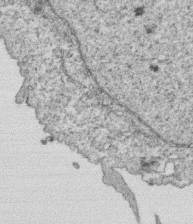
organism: Human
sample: HeLa cell HIV synapse